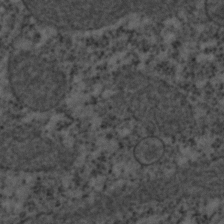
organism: C. elegans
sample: C. elegans embryo